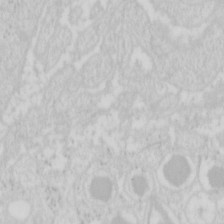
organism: Mouse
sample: Pancreas